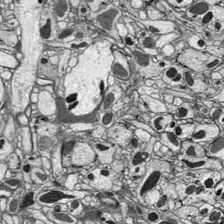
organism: Drosophila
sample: Optic lobe